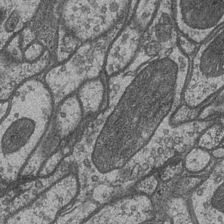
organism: Drosophila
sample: Optic medulla